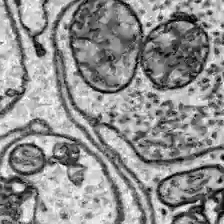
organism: Zebrafish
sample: Brain